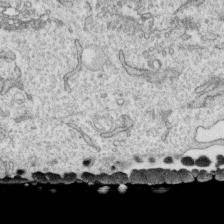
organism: Human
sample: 1205lu cells